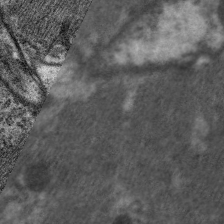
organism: C. elegans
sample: Pharynx